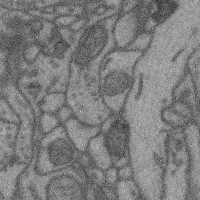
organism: Mouse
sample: Cerebral cortex